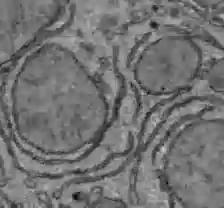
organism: C57BL Mouse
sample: Liver